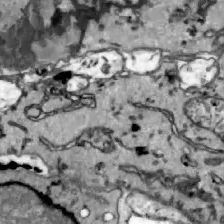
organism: Zebrafish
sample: Actinotrichia fibers